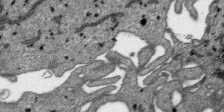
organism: Human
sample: Lung epithelial cells, uninfected (mock) control